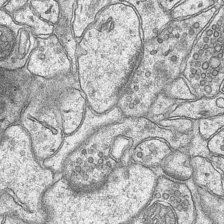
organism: Mouse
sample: CA1 Hippocampus